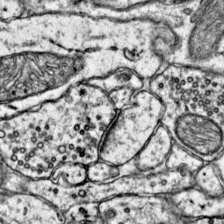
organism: Mouse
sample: Primary visual cortex